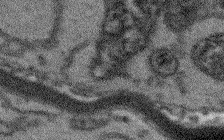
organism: Arabidopsis thaliana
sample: Root tip